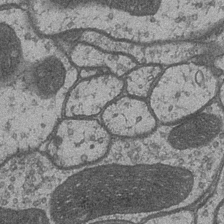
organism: Drosophila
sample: Optic medulla